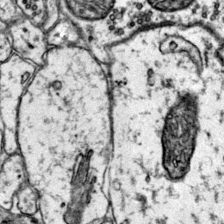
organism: Mouse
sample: Primary visual cortex